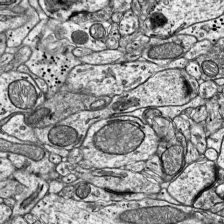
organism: Mouse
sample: Visual Cortex